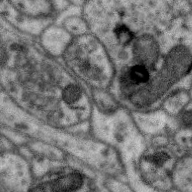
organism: Zebra finch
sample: Brain